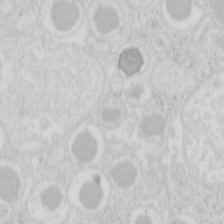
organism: Mouse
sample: Pancreas